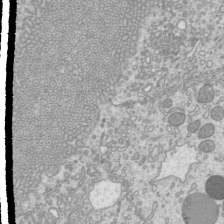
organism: Mouse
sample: Cilia; mouse epididymis